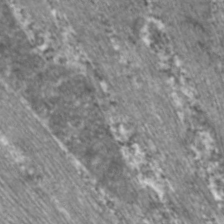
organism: C. elegans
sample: Pharynx